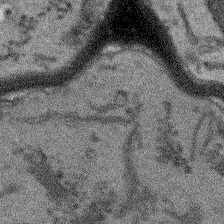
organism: Arabidopsis thaliana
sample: Root tip